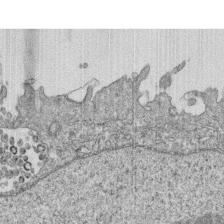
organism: Human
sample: HeLa cell HIV synapse